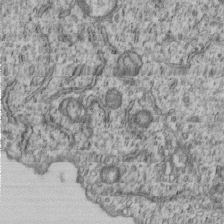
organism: Human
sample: MDA-MB-231 cells